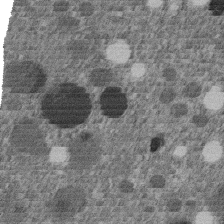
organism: C. elegans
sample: C. elegans embryo early stage